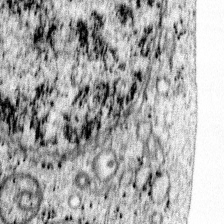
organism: Human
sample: HeLa cells